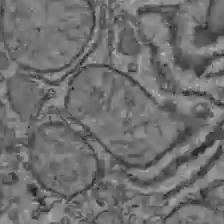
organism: C57BL Mouse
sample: Liver